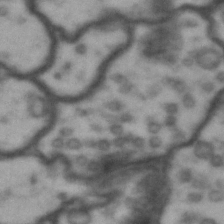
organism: Drosophila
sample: Brain